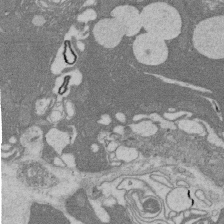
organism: Rat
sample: Salivary granule